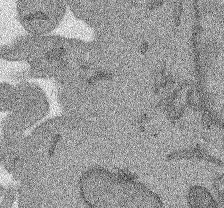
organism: Human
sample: HeLa cells